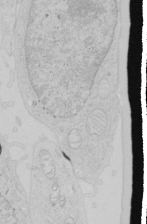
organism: Human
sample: Mitochondria in HCT116 cells